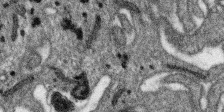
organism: Human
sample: Lung epithelial cells infected with SARS-CoV-2